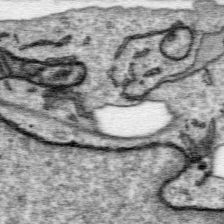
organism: Human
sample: HeLa cells